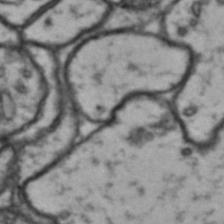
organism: Drosophila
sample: Brain